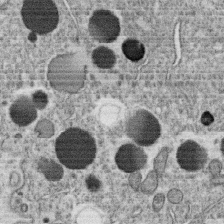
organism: C. elegans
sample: C. elegans oocyte; sperm cells